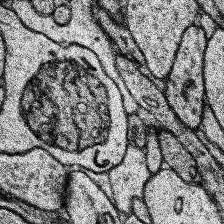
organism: Human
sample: Temporal Lobe